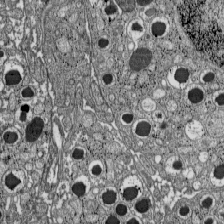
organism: C57BL Mouse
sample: Pancreatic islet